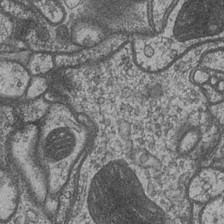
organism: Drosophila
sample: Optic medulla